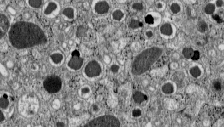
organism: C57BL Mouse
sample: Pancreatic islet